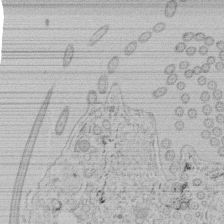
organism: Tetrahymena